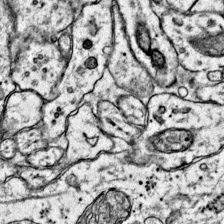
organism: Mouse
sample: Primary visual cortex